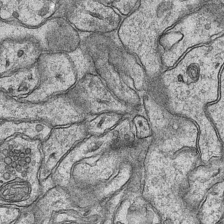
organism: Mouse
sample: CA1 Hippocampus